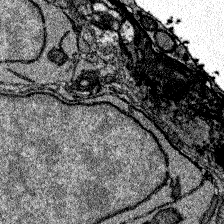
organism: Zebrafish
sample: Larval olfactory bulb